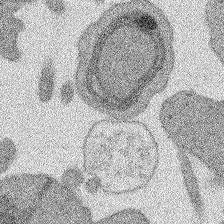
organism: Human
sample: HeLa cells